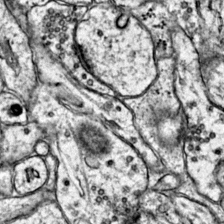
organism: Mouse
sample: Primary visual cortex